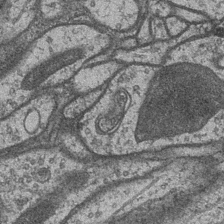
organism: Drosophila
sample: Optic medulla